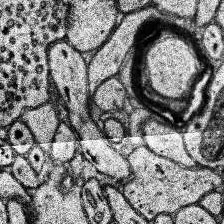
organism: Human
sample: Temporal Lobe